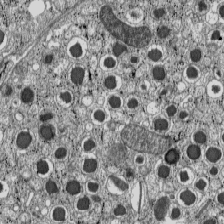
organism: C57BL Mouse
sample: Pancreatic islet